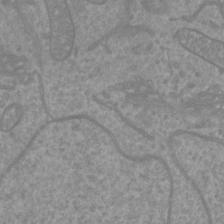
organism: Mouse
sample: Cortical neurons